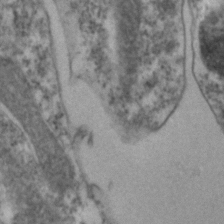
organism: Zebrafish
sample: Zebrafish embryo